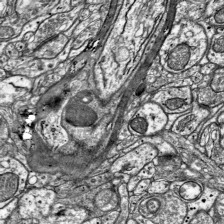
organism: Mouse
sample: Visual Cortex